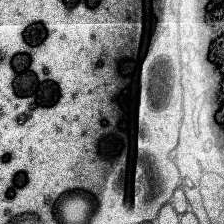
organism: Human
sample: Temporal Lobe